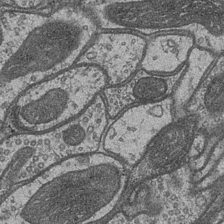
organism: Drosophila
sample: Optic medulla